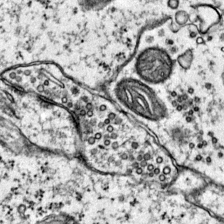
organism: Mouse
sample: Primary visual cortex